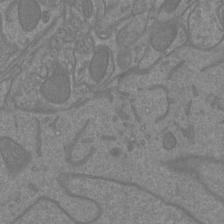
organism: Mouse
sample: Cortical neurons